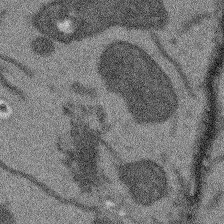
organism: Arabidopsis thaliana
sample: Root tip